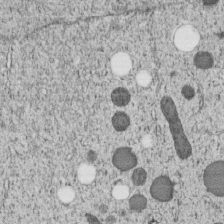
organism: C. elegans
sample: C. elegans embryo early stage